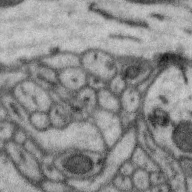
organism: Zebra finch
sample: Brain